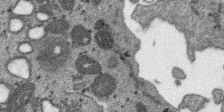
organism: Human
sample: Lung epithelial cells infected with SARS-CoV-2